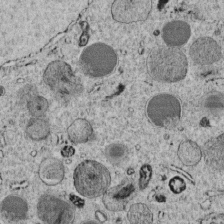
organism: C. elegans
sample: C. elegans embryo early stage